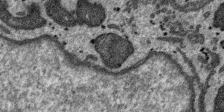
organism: Human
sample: Lung epithelial cells, uninfected (mock) control